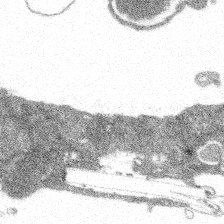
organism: Spongilla lacustris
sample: Multiple